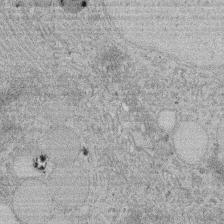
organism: Rat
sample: Salivary granule